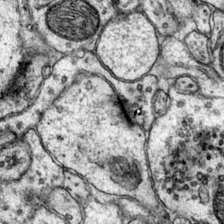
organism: Mouse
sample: Primary visual cortex